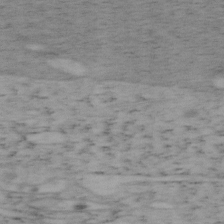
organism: Mouse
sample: OT-I killer T cells with ID8 ovarian cancer cells